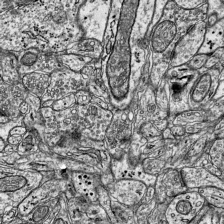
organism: Mouse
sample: Visual Cortex